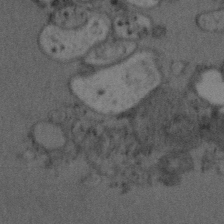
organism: Human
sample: HeLa cells